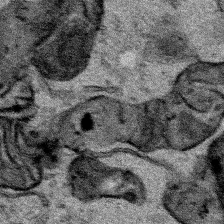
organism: Human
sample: Mitochondria in HCT116 cells